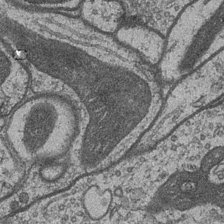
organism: Drosophila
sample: Optic medulla